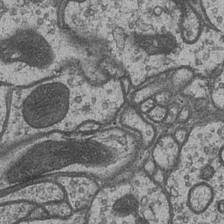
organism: Drosophila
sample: Optic medulla